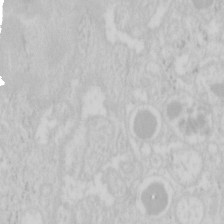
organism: Mouse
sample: Pancreas